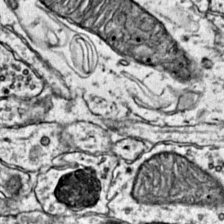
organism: Mouse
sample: Primary visual cortex